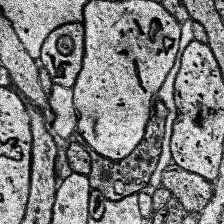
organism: Human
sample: Temporal Lobe